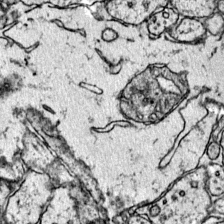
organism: Mouse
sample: Primary visual cortex